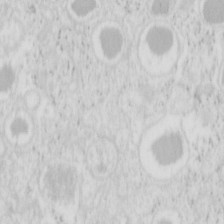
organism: Mouse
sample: Pancreas